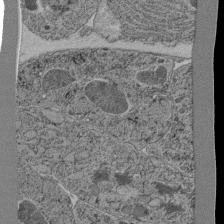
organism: C. elegans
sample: C. elegans pharynx